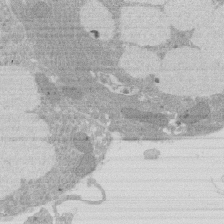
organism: Rat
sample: Salivary granule